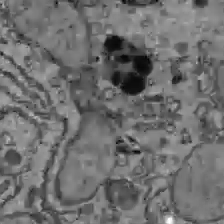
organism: C57BL Mouse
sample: Liver